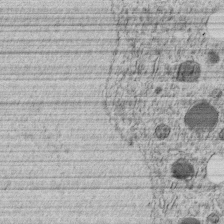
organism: C. elegans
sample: C. elegans embryo early stage